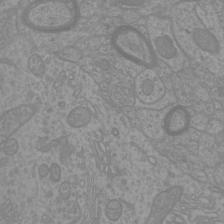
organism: Mouse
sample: Cortical neurons